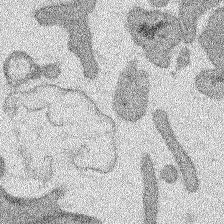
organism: Human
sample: HeLa cells